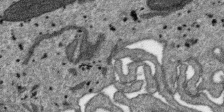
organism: Human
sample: Lung epithelial cells, uninfected (mock) control